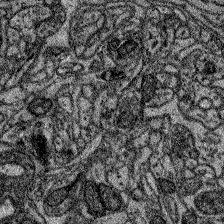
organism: Zebrafish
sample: Larval olfactory bulb